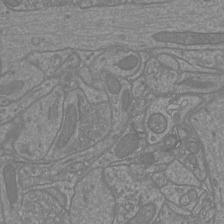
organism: Mouse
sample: Cortical neurons